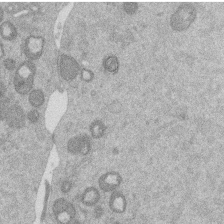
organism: Mouse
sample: Dividing mouse embryo 1 cell stage